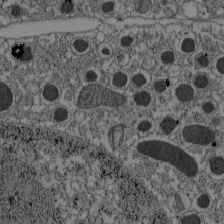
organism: C57BL Mouse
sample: Pancreatic islet